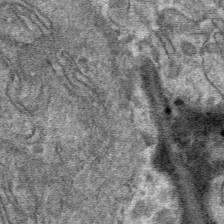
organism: Mouse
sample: Mouse hepatocytes